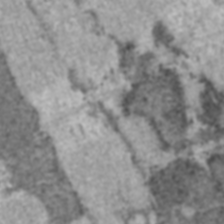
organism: C57BL Mouse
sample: Heart